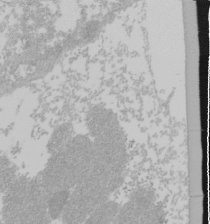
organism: Mouse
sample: Cancer cell death in ED-1 cells